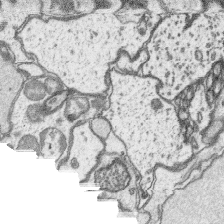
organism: Platynereis dumerilii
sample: Parapodia